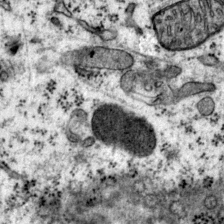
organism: Mouse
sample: Primary visual cortex